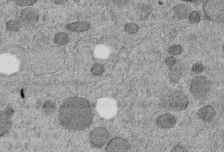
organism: C. elegans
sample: C. elegans embryo early stage